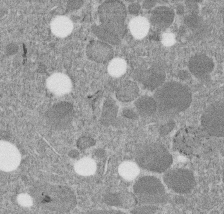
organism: C. elegans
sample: C. elegans embryo early stage